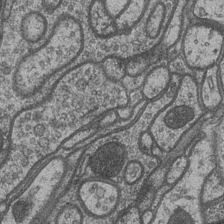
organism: Drosophila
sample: Optic medulla